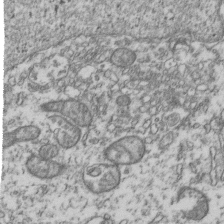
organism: Human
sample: Activated Jurkat CD4+ T cells